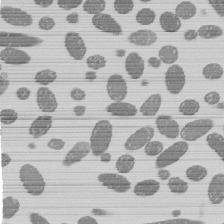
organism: E. coli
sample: Bacterial nucleoid